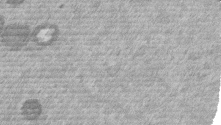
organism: Mouse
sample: Dividing mouse embryo 1 cell stage